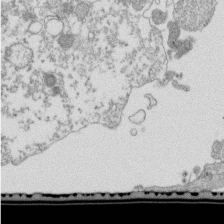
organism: Human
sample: HeLa cell HIV synapse